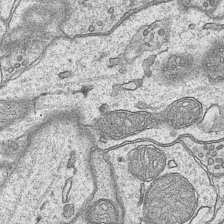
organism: Mouse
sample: CA1 Hippocampus